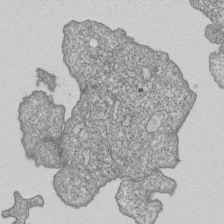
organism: Human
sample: MDA-MB-231 cells